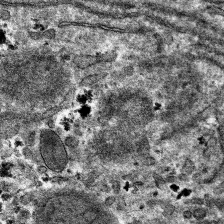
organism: Mouse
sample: Mouse hepatocytes